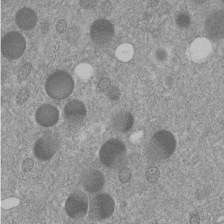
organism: C. elegans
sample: C. elegans embryo early stage